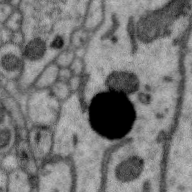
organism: Zebra finch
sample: Brain